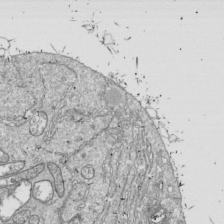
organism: Drosophila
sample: Cell division; meiosis; drosophila spermatocytes